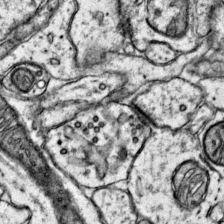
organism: Mouse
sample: Primary visual cortex